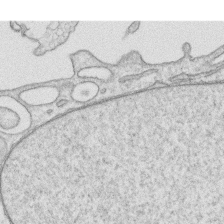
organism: Human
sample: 1205lu cells